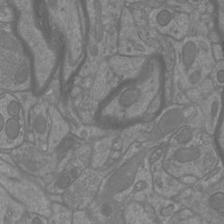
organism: Mouse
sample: Cortical neurons